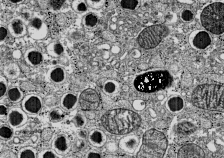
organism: C57BL Mouse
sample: Pancreatic islet